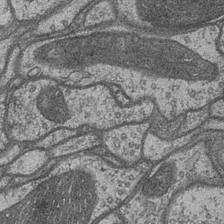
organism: Drosophila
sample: Optic medulla